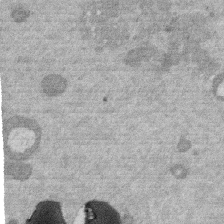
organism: Mouse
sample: Dividing mouse embryo 1 cell stage